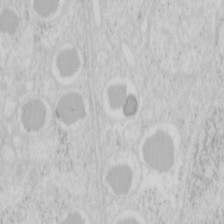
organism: Mouse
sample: Pancreas